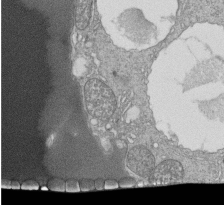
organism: Tetrahymena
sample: Cilia in tetrahymena